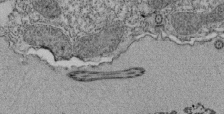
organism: Tetrahymena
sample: Cilia in tetrahymena